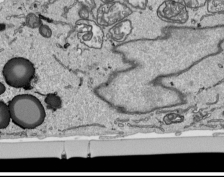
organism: Human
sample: Mitochondria in HCT116 cells